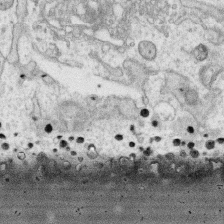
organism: Human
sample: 1205lu cells